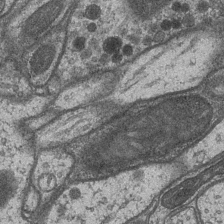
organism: Drosophila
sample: Optic medulla